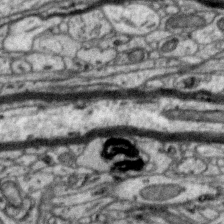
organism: Zebra finch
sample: Brain